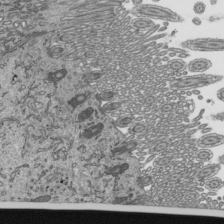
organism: Mouse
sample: Mouse epididymis efferent ductule cilia